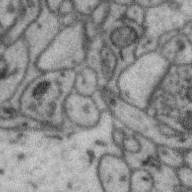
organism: Zebra finch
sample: Brain